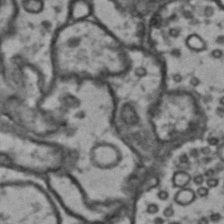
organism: Drosophila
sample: Brain